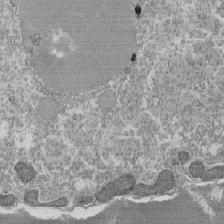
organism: Tetrahymena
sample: Cilia in tetrahymena